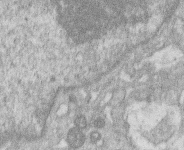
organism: Human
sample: Macrophage cells